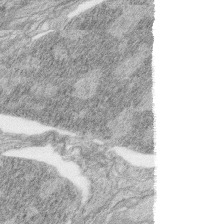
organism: Zebrafish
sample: synaptic ribbons in rod cells and cone cells